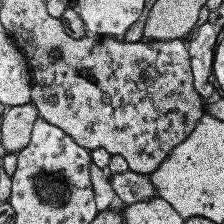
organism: Human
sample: Temporal Lobe